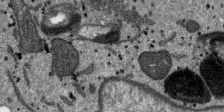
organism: Human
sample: Lung epithelial cells, uninfected (mock) control